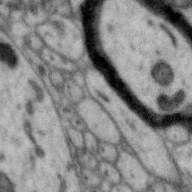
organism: Zebra finch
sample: Brain